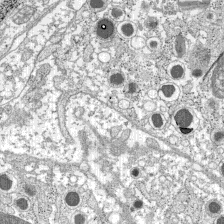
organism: C57BL Mouse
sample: Pancreatic islet